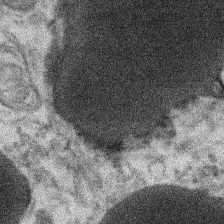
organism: Xenopus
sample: Cilia; centrioles in frog embryo cells